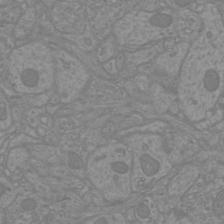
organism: Mouse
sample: Cortical neurons